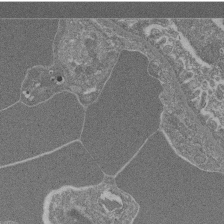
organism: Mouse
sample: Glomerulus